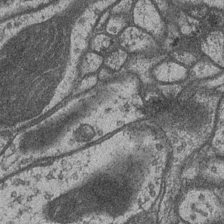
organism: Drosophila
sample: Optic medulla